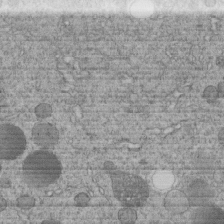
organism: C. elegans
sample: C. elegans embryo early stage